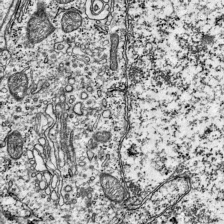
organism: Mouse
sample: Visual Cortex